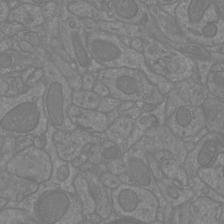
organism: Mouse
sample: Cortical neurons